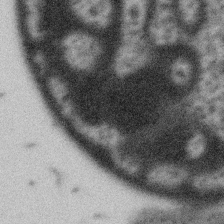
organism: Gemmata obscuriglobus